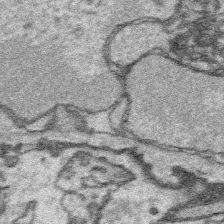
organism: Platynereis dumerilii